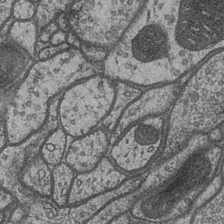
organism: Drosophila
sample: Optic medulla